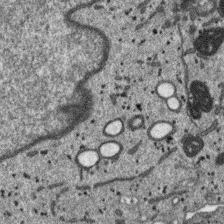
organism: Human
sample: Lung epithelial cells infected with SARS-CoV-2